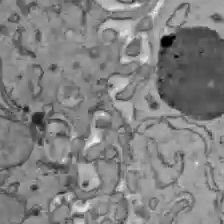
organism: C57BL Mouse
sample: Liver